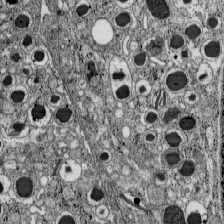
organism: C57BL Mouse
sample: Pancreatic islet